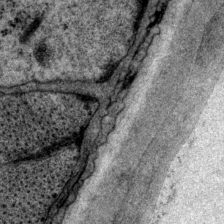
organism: P. pacificus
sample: Pharynx